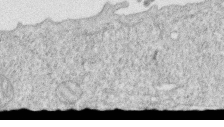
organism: Human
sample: HeLa cell HIV synapse